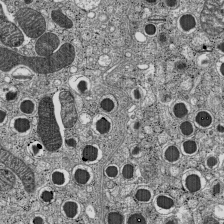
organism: C57BL Mouse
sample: Pancreatic islet